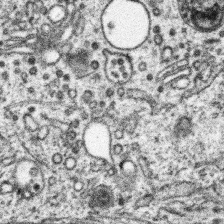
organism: Human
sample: HeLa cells